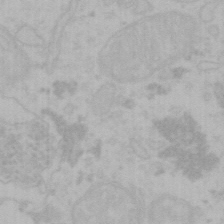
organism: Mouse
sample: Choroid plexus